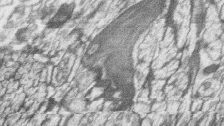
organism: Zebrafish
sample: synaptic ribbons in rod cells and cone cells